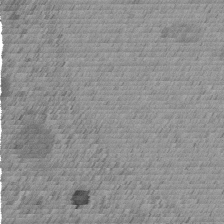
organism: C. elegans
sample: C. elegans embryo early stage